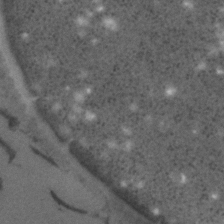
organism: C. elegans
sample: C. elegans embryo